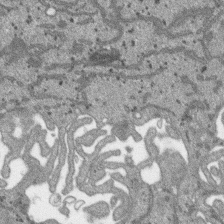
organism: Human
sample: Lung epithelial cells infected with SARS-CoV-2